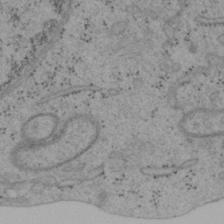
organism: Human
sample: HeLa cells